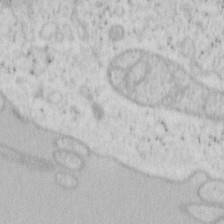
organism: Human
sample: HeLa cells